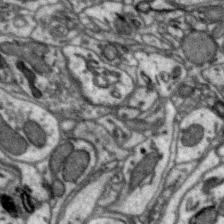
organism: Zebra finch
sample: Brain